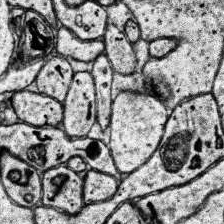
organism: Human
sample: Temporal Lobe